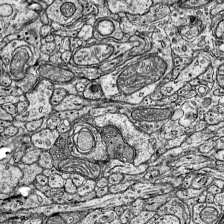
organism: Mouse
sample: Visual Cortex